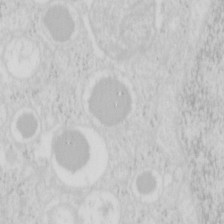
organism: Mouse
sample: Pancreas